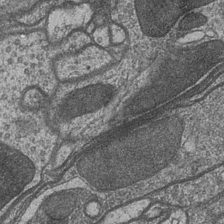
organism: Drosophila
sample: Optic medulla